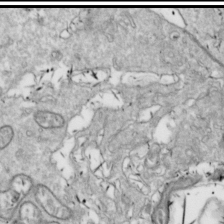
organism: Drosophila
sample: Cell division; meiosis; drosophila spermatocytes